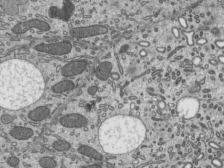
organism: Mouse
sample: Mouse epididymis efferent ductule cilia